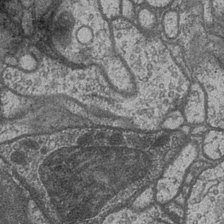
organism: Drosophila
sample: Optic medulla